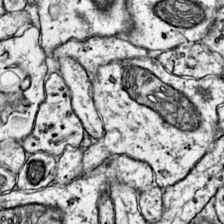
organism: Mouse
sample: Primary visual cortex